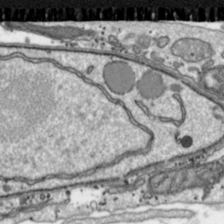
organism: Toxoplasma gondii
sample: Parasites in a vacuole inside a host cell